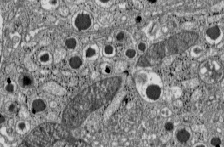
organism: C57BL Mouse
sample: Pancreatic islet